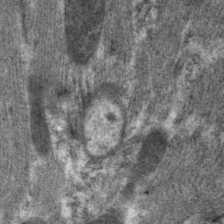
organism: C. elegans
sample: Pharynx